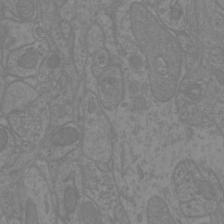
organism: Mouse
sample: Cortical neurons